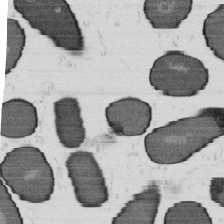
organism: B. subtilis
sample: Bacterial spore